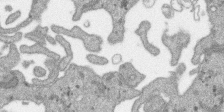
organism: Human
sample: Lung epithelial cells infected with SARS-CoV-2